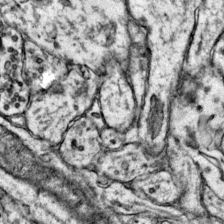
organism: Mouse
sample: Primary visual cortex